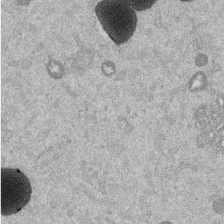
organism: Mouse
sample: Dividing mouse embryo 1 cell stage